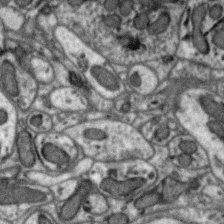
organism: Zebra finch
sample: Brain